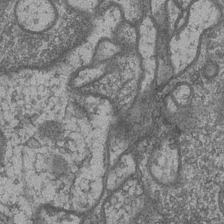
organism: Drosophila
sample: Optic medulla